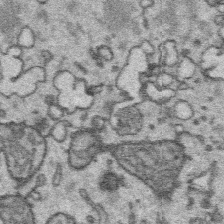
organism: Platynereis dumerilii